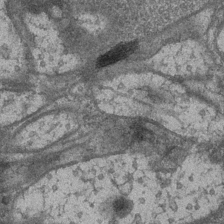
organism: Drosophila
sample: Optic medulla